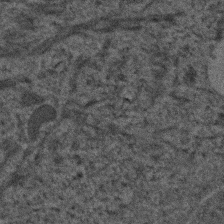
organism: Human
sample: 1205lu cells